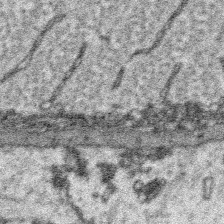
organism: Platynereis dumerilii